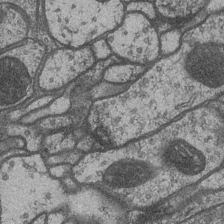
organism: Drosophila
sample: Optic medulla